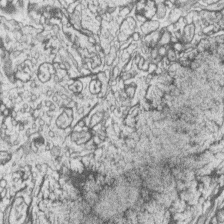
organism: Zebrafish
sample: synaptic ribbons in rod cells and cone cells